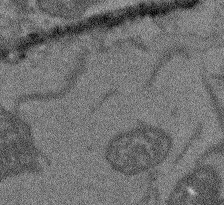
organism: Arabidopsis thaliana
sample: Root tip